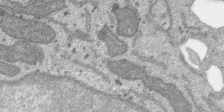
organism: Human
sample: Lung epithelial cells infected with SARS-CoV-2